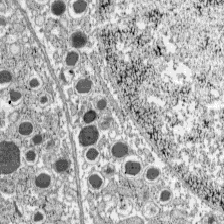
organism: C57BL Mouse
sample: Pancreatic islet